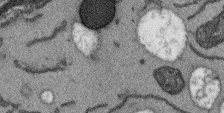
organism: Arabidopsis thaliana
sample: Root tip